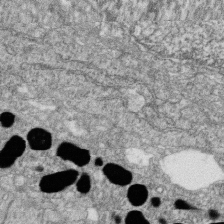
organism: Zebrafish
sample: Cilia; retinal pigment epithelium